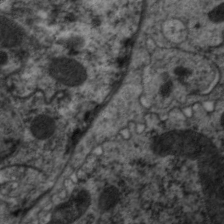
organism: C. elegans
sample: Pharynx